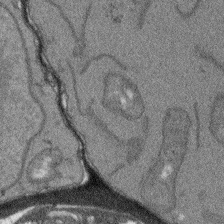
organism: Arabidopsis thaliana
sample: Root tip